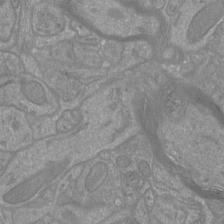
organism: Mouse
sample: Cortical neurons